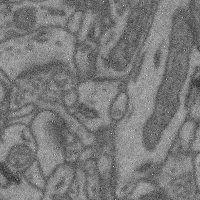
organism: Mouse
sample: Cerebral cortex